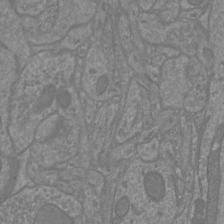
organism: Mouse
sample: Cortical neurons